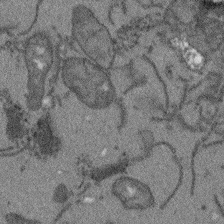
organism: Arabidopsis thaliana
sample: Root tip